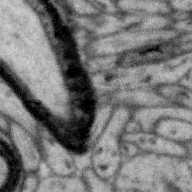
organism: Zebra finch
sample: Brain